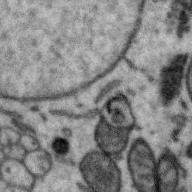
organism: Zebra finch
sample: Brain